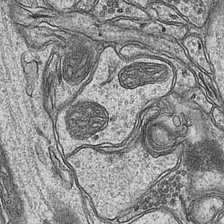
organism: Mouse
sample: CA1 Hippocampus